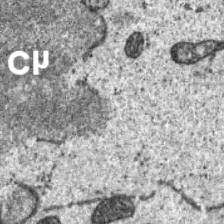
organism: Human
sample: HeLa cells